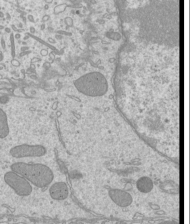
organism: Mouse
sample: Cilia; mouse epididymis